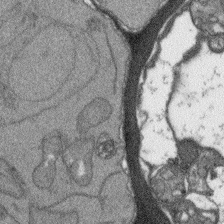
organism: Arabidopsis thaliana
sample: Root tip